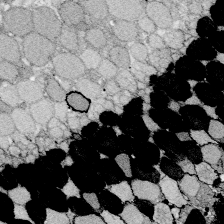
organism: Zebrafish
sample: Whole-Brain